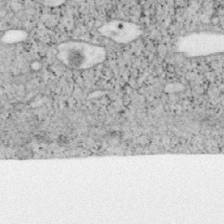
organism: Mouse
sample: OT-I killer T cells with ID8 ovarian cancer cells